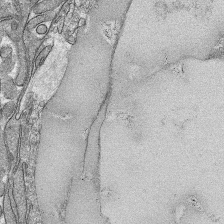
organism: Mouse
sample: Mouse hepatocytes